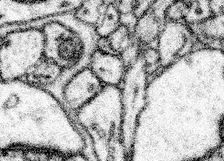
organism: Mouse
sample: Somatosensory cortex neuropil